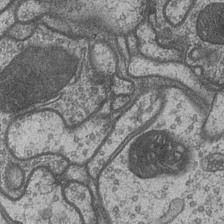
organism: Drosophila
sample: Optic medulla